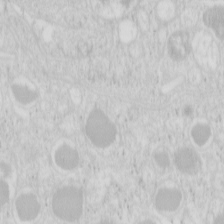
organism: Mouse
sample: Pancreas